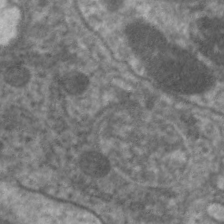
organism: C. elegans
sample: Pharynx